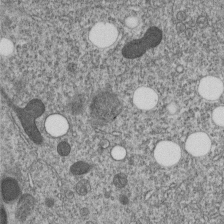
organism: C. elegans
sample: C. elegans embryo early stage